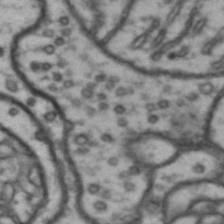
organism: Drosophila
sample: Brain